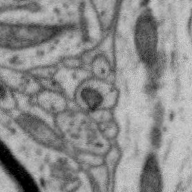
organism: Zebra finch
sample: Brain